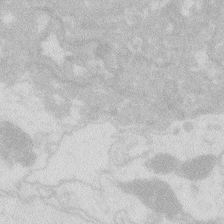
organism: Zebrafish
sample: Macrophage